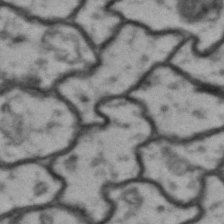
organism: Drosophila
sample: Brain